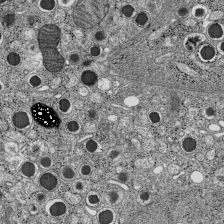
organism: C57BL Mouse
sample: Pancreatic islet